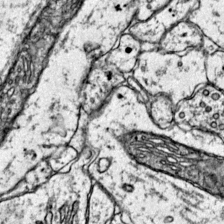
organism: Mouse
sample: Primary visual cortex